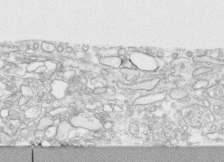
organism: Human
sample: CRL-1474